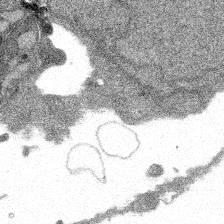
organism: Spongilla lacustris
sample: Multiple